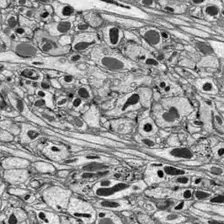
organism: Drosophila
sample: Optic lobe